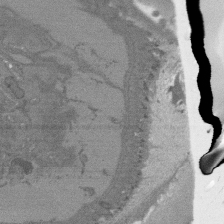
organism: C. elegans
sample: AFD neurons C. elegans